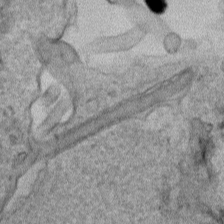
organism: Human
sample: Mitochondria in HCT116 cells